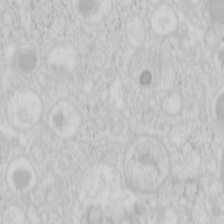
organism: Mouse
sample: Pancreas